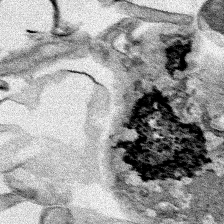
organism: Human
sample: Mitochondria in HCT116 cells